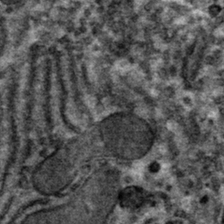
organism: Mouse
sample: Mouse hepatocytes